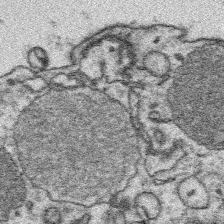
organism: Platynereis dumerilii